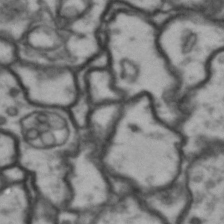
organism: Drosophila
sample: Brain